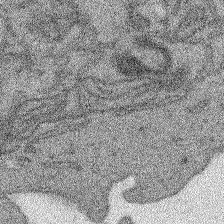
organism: Human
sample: HeLa cells